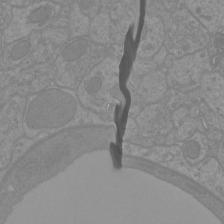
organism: Mouse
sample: Cortical neurons